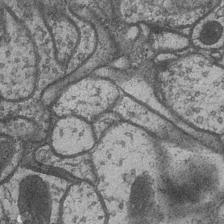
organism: Drosophila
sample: Optic medulla